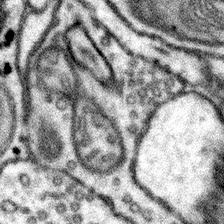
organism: Mouse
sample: Somatosensory cortex neuropil